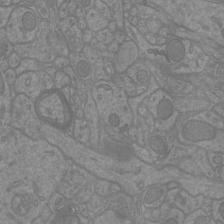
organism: Mouse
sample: Cortical neurons